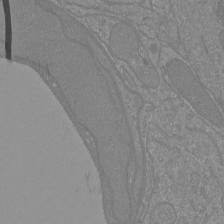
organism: Mouse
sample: Cortical neurons